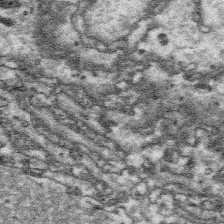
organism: Platynereis dumerilii